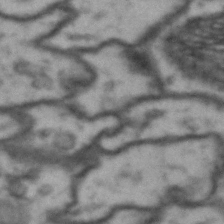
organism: Drosophila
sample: Brain